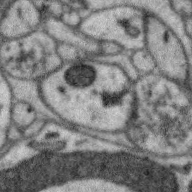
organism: Zebra finch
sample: Brain